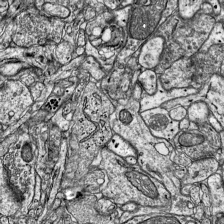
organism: Mouse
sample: Visual Cortex